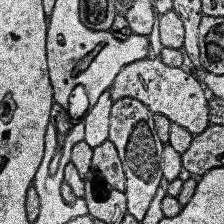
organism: Human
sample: Temporal Lobe